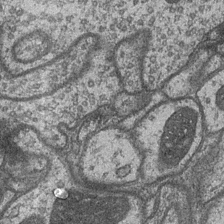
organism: Drosophila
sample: Optic medulla